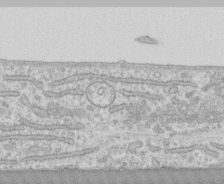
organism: Human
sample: CRL-1474